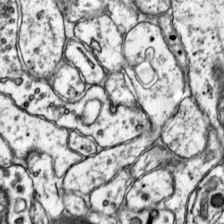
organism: Mouse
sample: Primary visual cortex